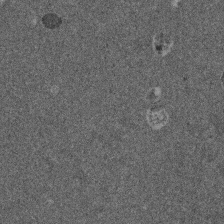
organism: Mouse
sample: Dividing mouse embryo 1 cell stage